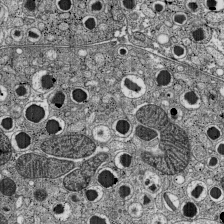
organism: C57BL Mouse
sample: Pancreatic islet